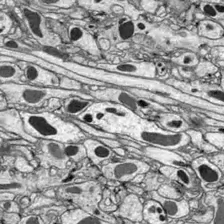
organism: Drosophila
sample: Optic lobe